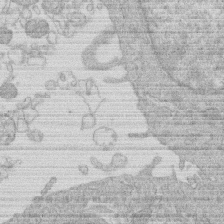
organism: Human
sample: Macrophage cells